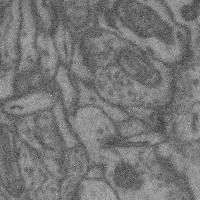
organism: Mouse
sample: Cerebral cortex